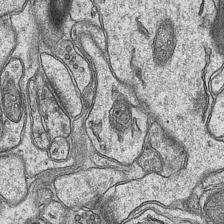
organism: Mouse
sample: CA1 Hippocampus